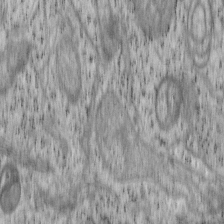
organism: Human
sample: HeLa cells